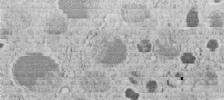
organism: C. elegans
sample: C. elegans embryo early stage